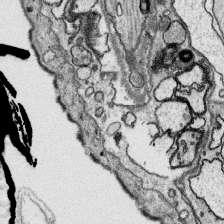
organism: Platynereis dumerilii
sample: Parapodia